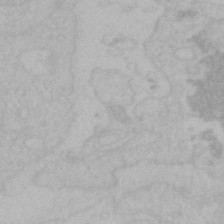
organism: Mouse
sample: Choroid plexus